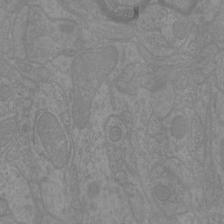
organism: Mouse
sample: Cortical neurons